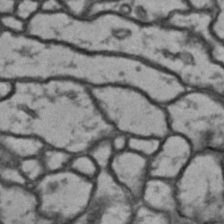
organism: Drosophila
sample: Brain